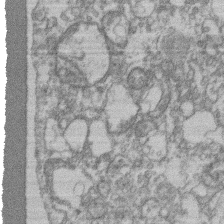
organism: Mouse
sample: T cell stromal cell synapse